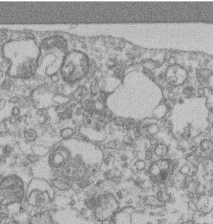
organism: Mouse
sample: T cell stromal cell synapse